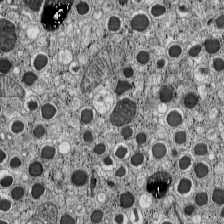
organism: C57BL Mouse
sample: Pancreatic islet